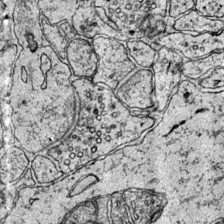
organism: Mouse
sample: Primary visual cortex